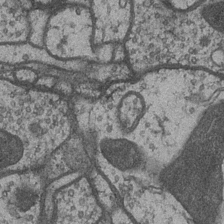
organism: Drosophila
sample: Optic medulla